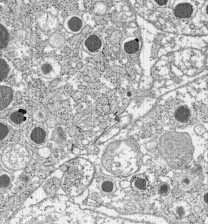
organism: C57BL Mouse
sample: Pancreatic islet